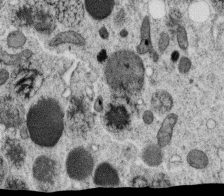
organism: C. elegans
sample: C. elegans oocyte; sperm cells